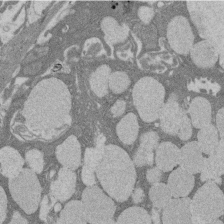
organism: Rat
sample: Salivary granule